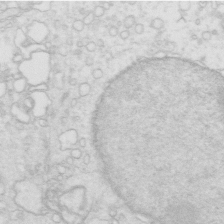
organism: Mouse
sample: Multiciliated cells